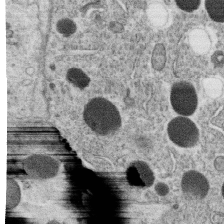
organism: C. elegans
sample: C. elegans oocyte; sperm cells